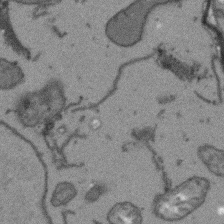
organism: Arabidopsis thaliana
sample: Root tip